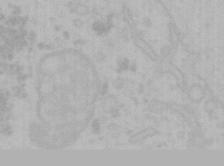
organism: Mouse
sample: Choroid plexus